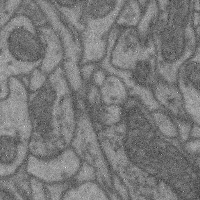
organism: Mouse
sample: Cerebral cortex